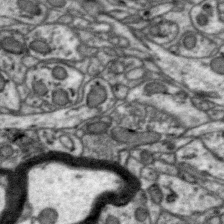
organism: Zebra finch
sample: Brain